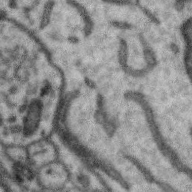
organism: Zebra finch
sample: Brain